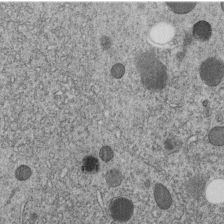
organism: C. elegans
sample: C. elegans embryo early stage